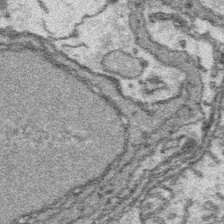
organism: Platynereis dumerilii